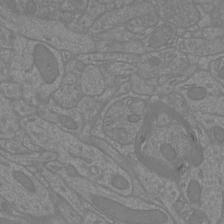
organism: Mouse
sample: Cortical neurons